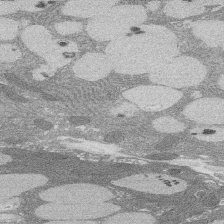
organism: Rat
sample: Salivary granule